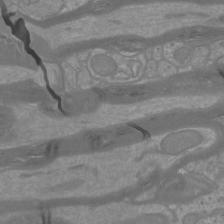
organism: Mouse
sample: Cortical neurons